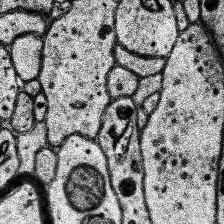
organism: Human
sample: Temporal Lobe